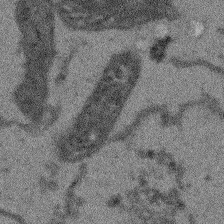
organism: Arabidopsis thaliana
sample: Root tip